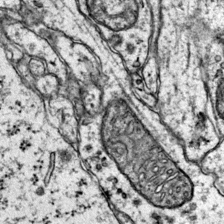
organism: Mouse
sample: Primary visual cortex